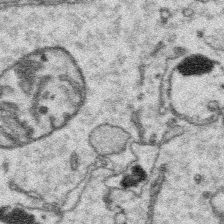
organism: Platynereis dumerilii